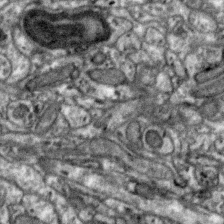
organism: Zebra finch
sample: Brain